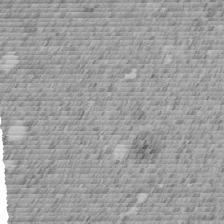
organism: C. elegans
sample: C. elegans embryo early stage